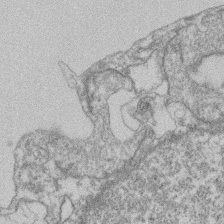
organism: Mouse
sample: T cell stromal cell synapse